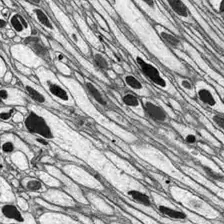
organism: Drosophila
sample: Optic lobe